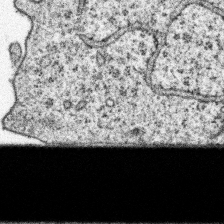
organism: Human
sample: HeLa cells